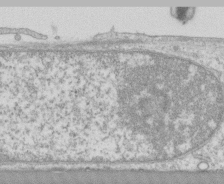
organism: Human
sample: CRL-1474